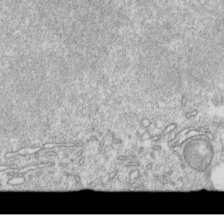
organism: Mouse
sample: Activated OT-1 CD8+ T cells